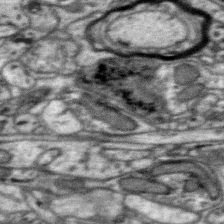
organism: Zebra finch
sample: Brain